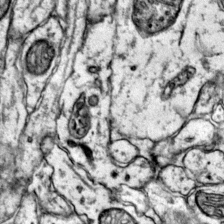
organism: Mouse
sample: Primary visual cortex